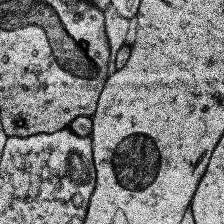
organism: Human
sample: Temporal Lobe